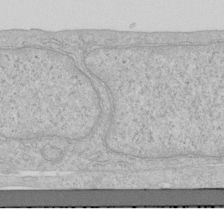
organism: Human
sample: Centriole in RPE cells